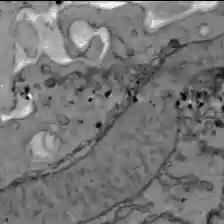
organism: C57BL Mouse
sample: Liver